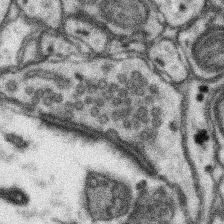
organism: Mouse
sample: Somatosensory cortex neuropil